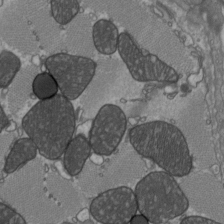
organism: C57BL Mouse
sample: Heart